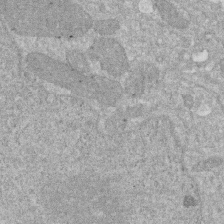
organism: Human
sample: HIV infected U937 cells